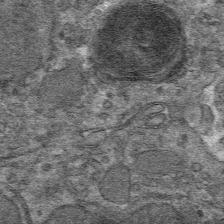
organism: Mouse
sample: Mouse hepatocytes